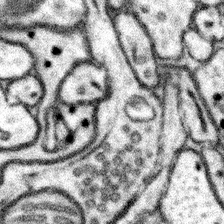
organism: Mouse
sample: Somatosensory cortex neuropil